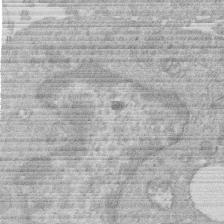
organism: Human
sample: Macrophage cells